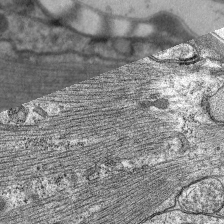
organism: C. elegans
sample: Pharynx